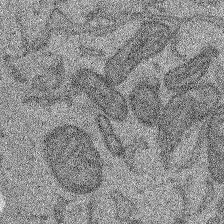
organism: Human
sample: HeLa cells